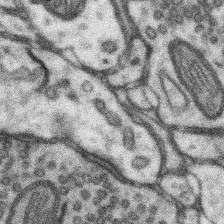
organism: Mouse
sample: Somatosensory cortex neuropil